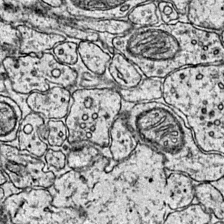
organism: Mouse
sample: Primary visual cortex